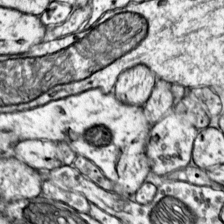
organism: Mouse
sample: Primary visual cortex